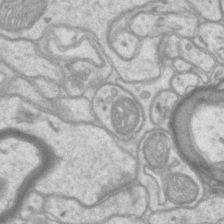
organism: Mouse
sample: CA1 Hippocampus